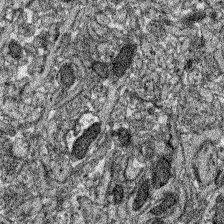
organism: Zebrafish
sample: Larval olfactory bulb